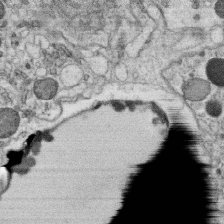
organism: C. elegans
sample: C. elegans oocyte; sperm cells